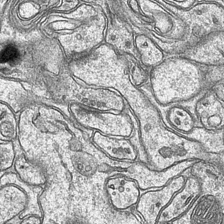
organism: Mouse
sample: CA1 Hippocampus